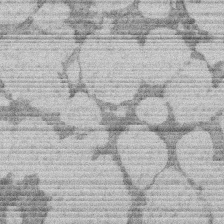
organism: Rat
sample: Salivary granule